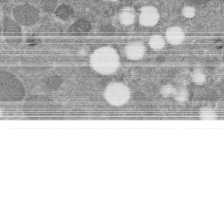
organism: C. elegans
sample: C. elegans embryo early stage